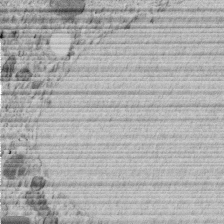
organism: C. elegans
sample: C. elegans embryo early stage